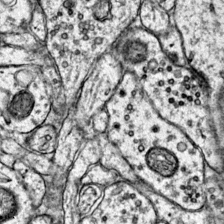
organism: Mouse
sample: Primary visual cortex